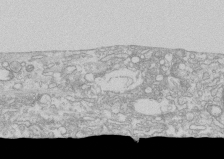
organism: Human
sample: CRL-1474